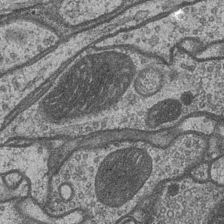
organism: Drosophila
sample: Optic medulla